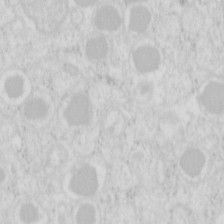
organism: Mouse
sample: Pancreas